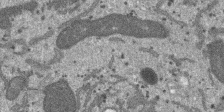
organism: Human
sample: Lung epithelial cells infected with SARS-CoV-2